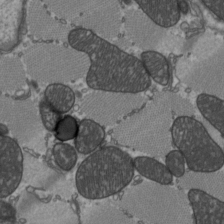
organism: C57BL Mouse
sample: Heart